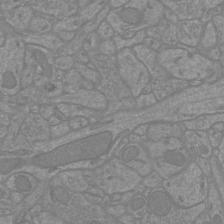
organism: Mouse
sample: Cortical neurons